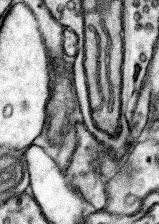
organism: Mouse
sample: Somatosensory cortex neuropil